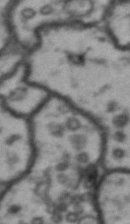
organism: Drosophila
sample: Brain